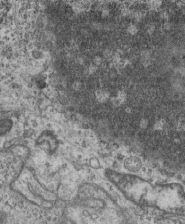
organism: Mouse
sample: Centriole in ependymal cells